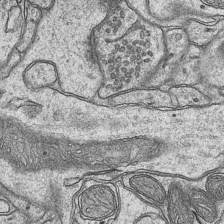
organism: Mouse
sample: CA1 Hippocampus